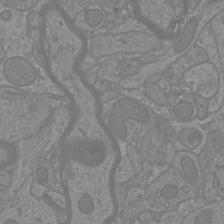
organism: Mouse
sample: Cortical neurons